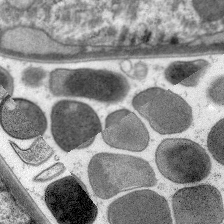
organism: C. elegans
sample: Pharynx